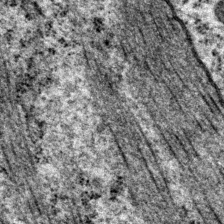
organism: P. pacificus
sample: Pharynx